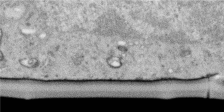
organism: Human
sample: Centriole in RPE cells